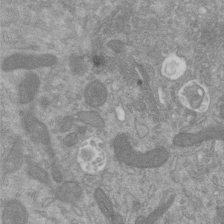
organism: Mouse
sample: ED-1 cell nuclei; centrioles